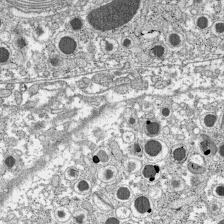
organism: C57BL Mouse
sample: Pancreatic islet